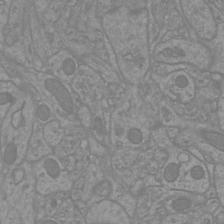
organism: Mouse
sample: Cortical neurons